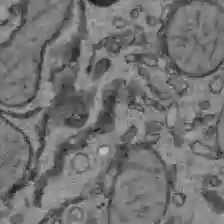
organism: C57BL Mouse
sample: Liver